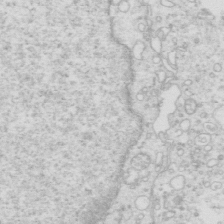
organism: Mouse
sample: Multiciliated cells